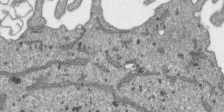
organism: Human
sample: Lung epithelial cells infected with SARS-CoV-2